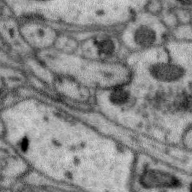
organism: Zebra finch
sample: Brain